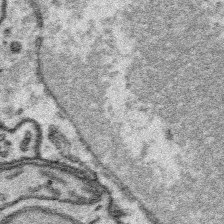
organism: Platynereis dumerilii